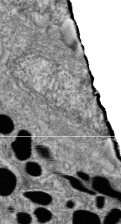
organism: Zebrafish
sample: Cilia; retinal pigment epithelium